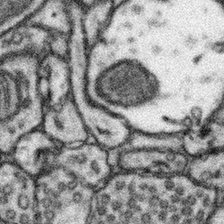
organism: Mouse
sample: Somatosensory cortex neuropil